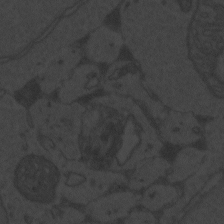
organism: Zebrafish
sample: Macrophage infected with Toxoplasma gondii